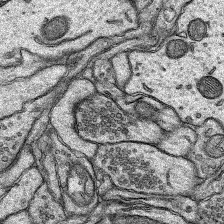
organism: Rat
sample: Hippocampus